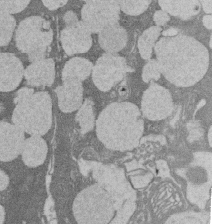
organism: Rat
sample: Salivary granule